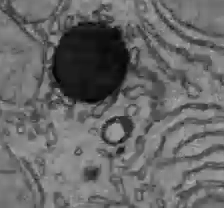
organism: C57BL Mouse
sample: Liver